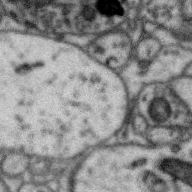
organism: Zebra finch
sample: Brain